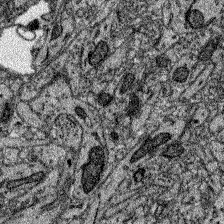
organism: Zebrafish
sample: Larval olfactory bulb